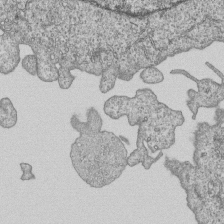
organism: Human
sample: MDA-MB-231 cells